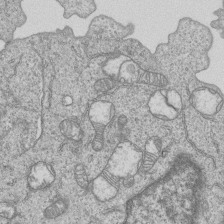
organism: Human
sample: MDA-MB-231 cells